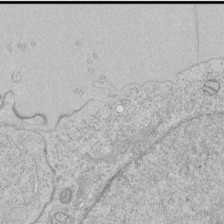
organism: Human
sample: Mitochondria in HCT116 cells